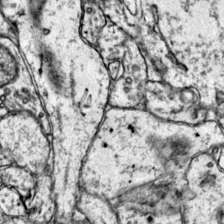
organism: Mouse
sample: Primary visual cortex